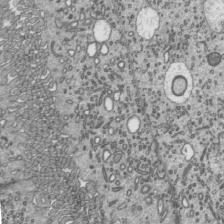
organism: Mouse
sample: Mouse epididymis efferent ductule cilia